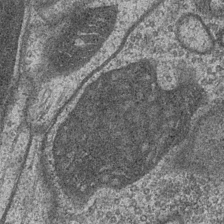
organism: Drosophila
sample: Optic medulla